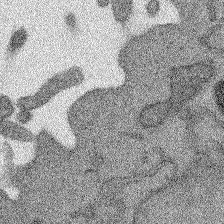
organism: Human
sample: HeLa cells